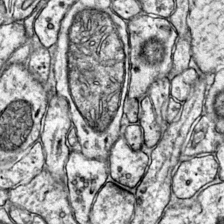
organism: Mouse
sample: Primary visual cortex